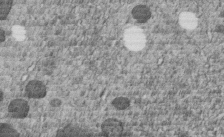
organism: C. elegans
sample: C. elegans embryo early stage